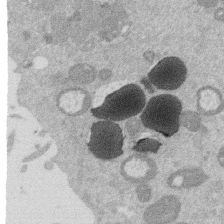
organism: Mouse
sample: Dividing mouse embryo 1 cell stage